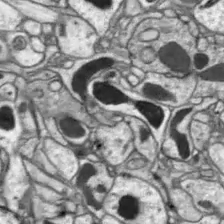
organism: Drosophila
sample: Optic lobe